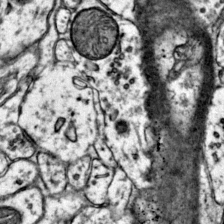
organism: Mouse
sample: Primary visual cortex